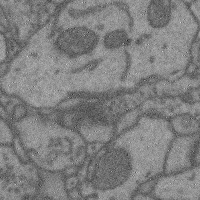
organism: Mouse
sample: Cerebral cortex